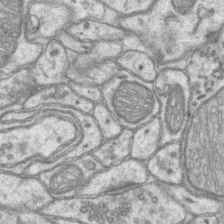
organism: Mouse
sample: CA1 Hippocampus